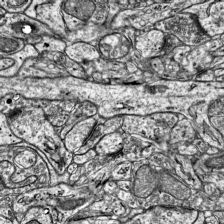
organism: Mouse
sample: Visual Cortex